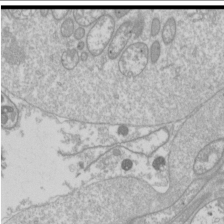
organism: Drosophila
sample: Cell division; meiosis; drosophila spermatocytes